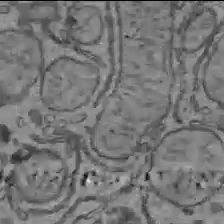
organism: C57BL Mouse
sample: Liver